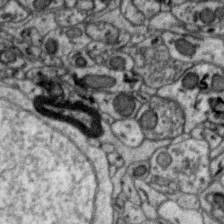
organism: Zebra finch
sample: Brain